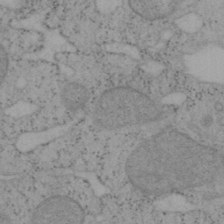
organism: Mouse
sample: OT-I killer T cells with ID8 ovarian cancer cells